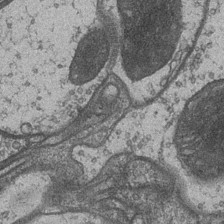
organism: Drosophila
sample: Optic medulla